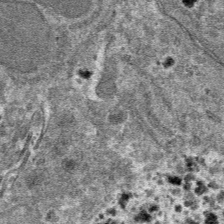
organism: Mouse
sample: Mouse hepatocytes